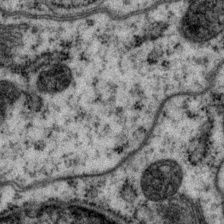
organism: P. pacificus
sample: Pharynx